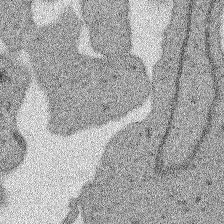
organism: Human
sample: HeLa cells